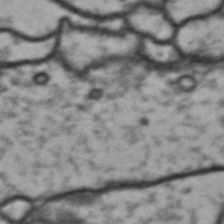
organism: Drosophila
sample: Brain